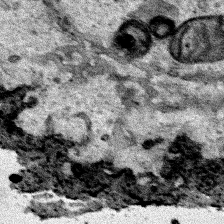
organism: Human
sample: Mitochondria in HCT116 cells